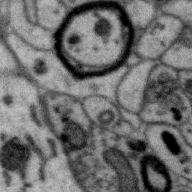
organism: Zebra finch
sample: Brain